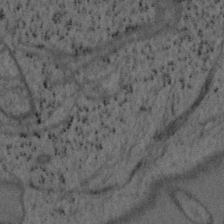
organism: Human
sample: HeLa cells